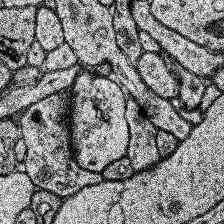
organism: Human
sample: Temporal Lobe